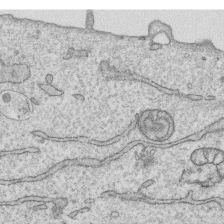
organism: Human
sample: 1205lu cells